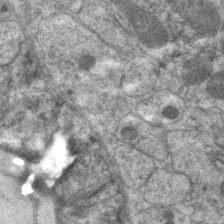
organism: C. elegans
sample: Pharynx